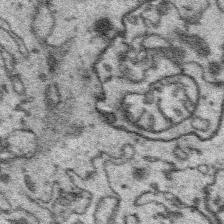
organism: Platynereis dumerilii